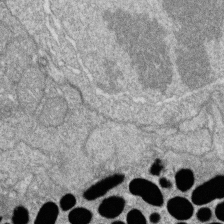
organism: Zebrafish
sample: Cilia; retinal pigment epithelium